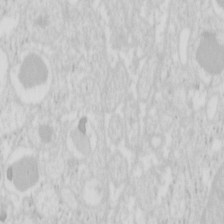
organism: Mouse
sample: Pancreas